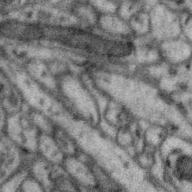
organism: Zebra finch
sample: Brain